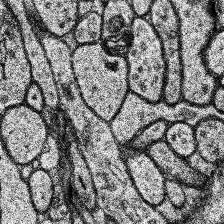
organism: Human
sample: Temporal Lobe